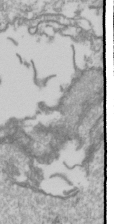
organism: Drosophila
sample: Cell division; meiosis; drosophila spermatocytes